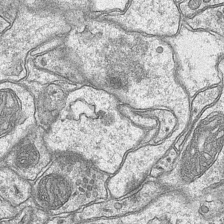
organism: Mouse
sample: CA1 Hippocampus